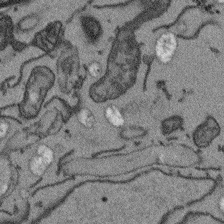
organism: Arabidopsis thaliana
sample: Root tip